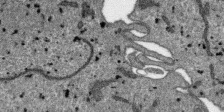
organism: Human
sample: Lung epithelial cells, uninfected (mock) control